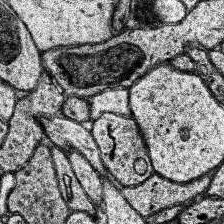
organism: Human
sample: Temporal Lobe